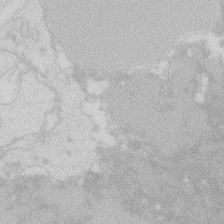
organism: Zebrafish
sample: Macrophage